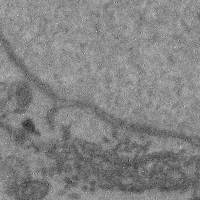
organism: Mouse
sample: Cerebral cortex